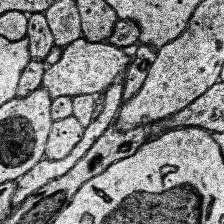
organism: Human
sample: Temporal Lobe